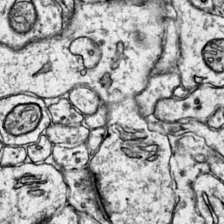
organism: Mouse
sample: Primary visual cortex